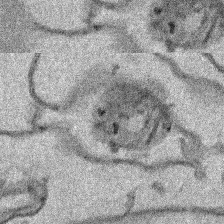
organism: Human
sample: Mitochondria in HCT116 cells